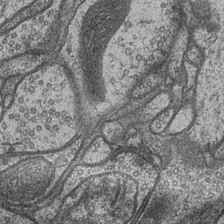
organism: Drosophila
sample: Optic medulla